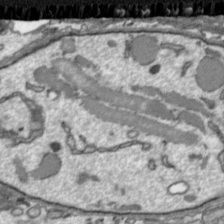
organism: Toxoplasma gondii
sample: Parasites in a vacuole inside a host cell